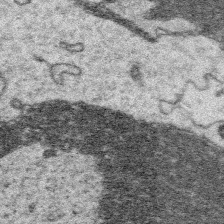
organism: Platynereis dumerilii